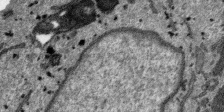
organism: Human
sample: Lung epithelial cells, uninfected (mock) control